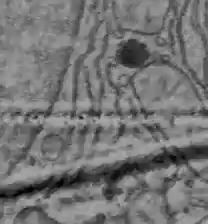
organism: C57BL Mouse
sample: Liver